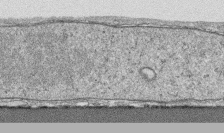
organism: Human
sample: CRL-1474